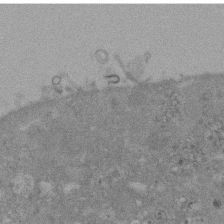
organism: Mouse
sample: ED-1 cell nuclei; centrioles